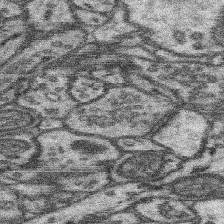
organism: Mouse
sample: Somatosensory cortex neuropil